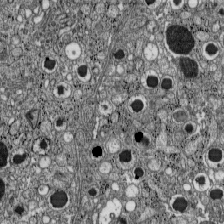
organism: C57BL Mouse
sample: Pancreatic islet